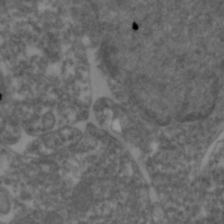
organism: Zebrafish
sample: Zebrafish embryo